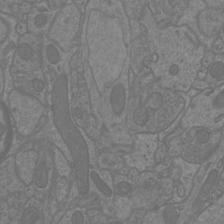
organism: Mouse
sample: Cortical neurons